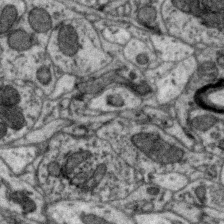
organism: Zebra finch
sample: Brain